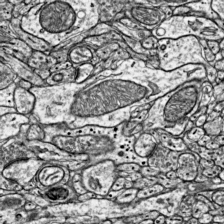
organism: Mouse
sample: Visual Cortex